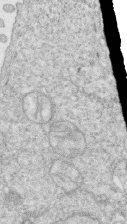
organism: Human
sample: HeLa cell HIV synapse